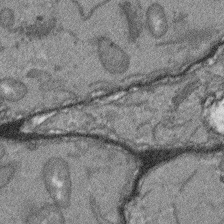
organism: Arabidopsis thaliana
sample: Root tip